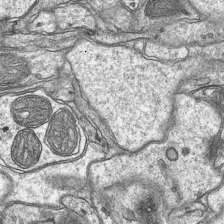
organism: Mouse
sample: CA1 Hippocampus